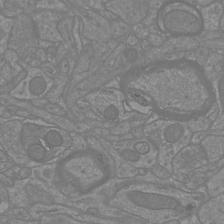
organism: Mouse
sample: Cortical neurons